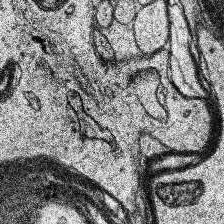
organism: Human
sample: Temporal Lobe